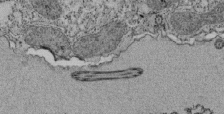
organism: Tetrahymena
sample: Cilia in tetrahymena